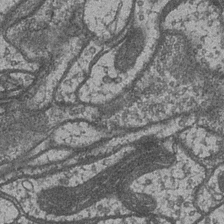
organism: Drosophila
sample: Optic medulla